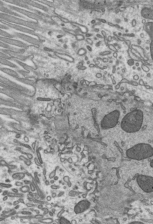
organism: Mouse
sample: Mouse epididymis efferent ductule cilia